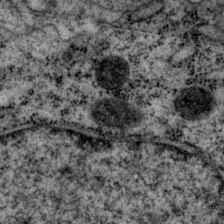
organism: P. pacificus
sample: Pharynx